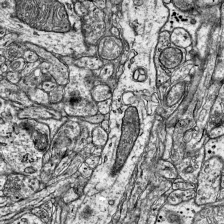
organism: Mouse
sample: Visual Cortex